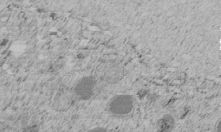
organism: C. elegans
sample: C. elegans embryo early stage